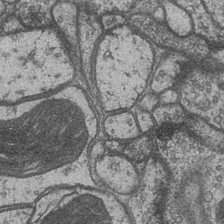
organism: Drosophila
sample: Optic medulla